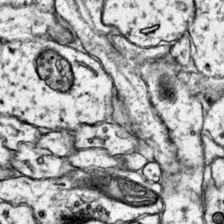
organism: Mouse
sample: Primary visual cortex